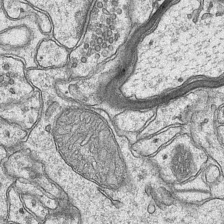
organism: Mouse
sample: CA1 Hippocampus